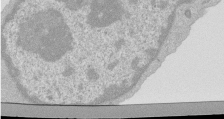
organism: Mouse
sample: Activated Pmel transgenic CD8+ T Cells